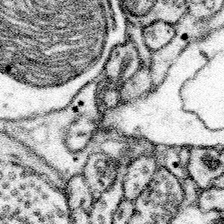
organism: Mouse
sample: Somatosensory cortex neuropil